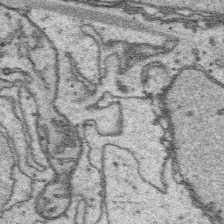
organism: Platynereis dumerilii